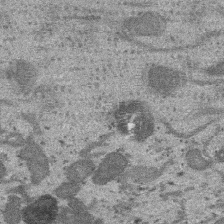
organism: Human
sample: Lung epithelial cells infected with SARS-CoV-2